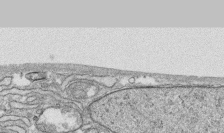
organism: Human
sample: CRL-1474